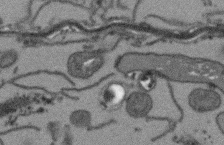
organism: Arabidopsis thaliana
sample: Root tip